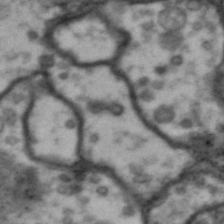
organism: Drosophila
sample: Brain